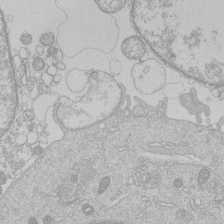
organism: Human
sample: Macrophage cells